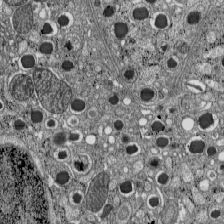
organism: C57BL Mouse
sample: Pancreatic islet